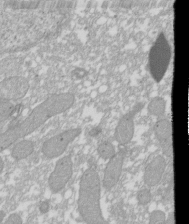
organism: Xenopus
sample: Cilia; centrioles in frog embryo cells